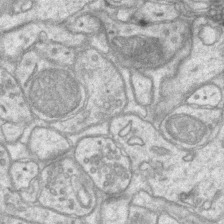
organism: Mouse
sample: CA1 Hippocampus